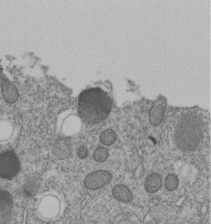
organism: C. elegans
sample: C. elegans embryo early stage